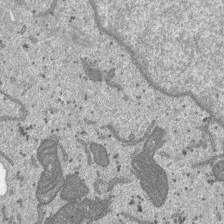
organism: Human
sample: Lung epithelial cells infected with SARS-CoV-2